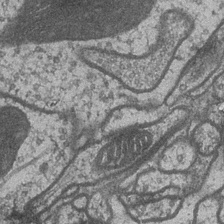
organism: Drosophila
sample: Optic medulla